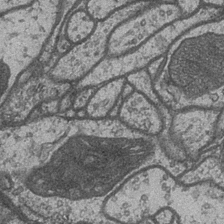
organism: Drosophila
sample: Optic medulla